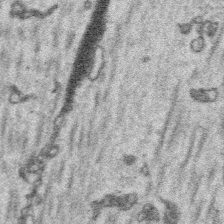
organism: Platynereis dumerilii